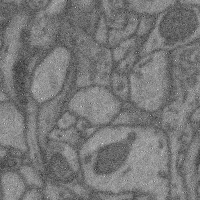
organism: Mouse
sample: Cerebral cortex